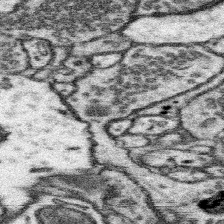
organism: Mouse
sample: Somatosensory cortex neuropil